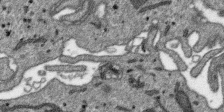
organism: Human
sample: Lung epithelial cells, uninfected (mock) control